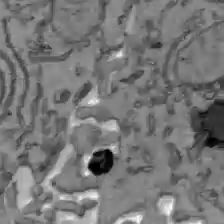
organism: C57BL Mouse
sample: Liver